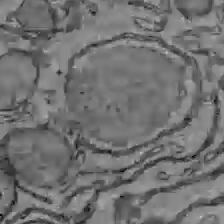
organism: C57BL Mouse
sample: Liver